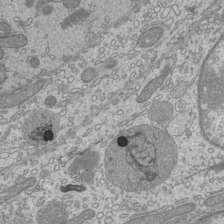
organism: Mouse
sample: Cilia; mouse epididymis